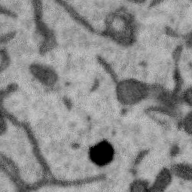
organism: Zebra finch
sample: Brain